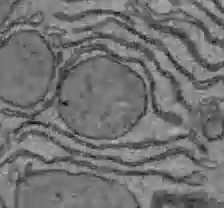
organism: C57BL Mouse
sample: Liver